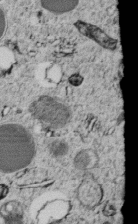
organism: C. elegans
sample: C. elegans embryo early stage